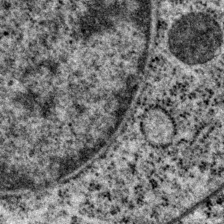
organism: P. pacificus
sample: Pharynx